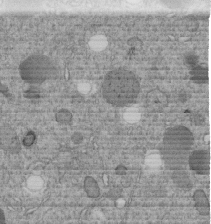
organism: C. elegans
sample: C. elegans embryo early stage